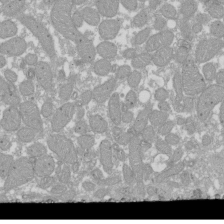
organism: Xenopus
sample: Cilia; centrioles in frog embryo cells